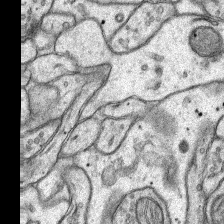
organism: Rat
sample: Hippocampus